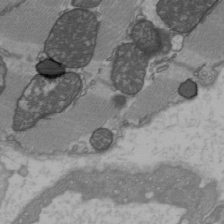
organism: C57BL Mouse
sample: Heart